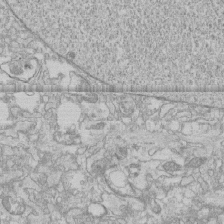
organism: Human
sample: CRL-1474